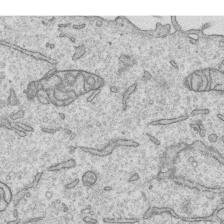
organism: Human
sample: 1205lu cells